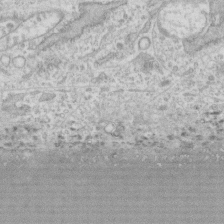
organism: Human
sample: CRL-1474